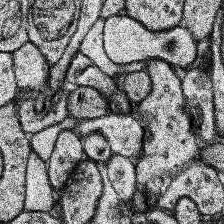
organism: Human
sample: Temporal Lobe